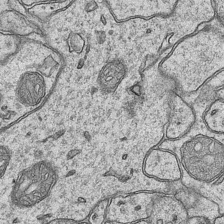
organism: Mouse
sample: CA1 Hippocampus